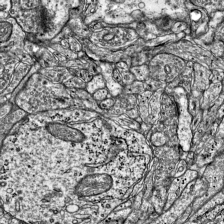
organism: Mouse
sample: Visual Cortex